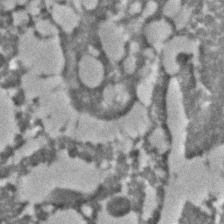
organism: C. elegans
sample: C. elegans embryo